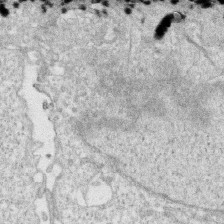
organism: Human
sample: HeLa cell HIV synapse